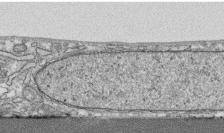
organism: Human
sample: CRL-1474